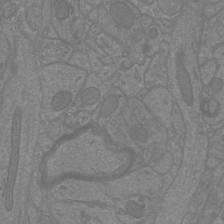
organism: Mouse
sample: Cortical neurons